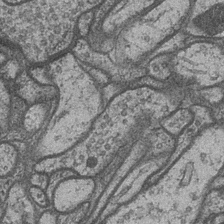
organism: Drosophila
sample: Optic medulla